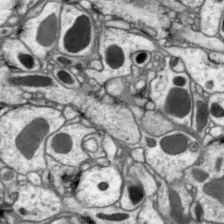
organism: Drosophila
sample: Optic lobe